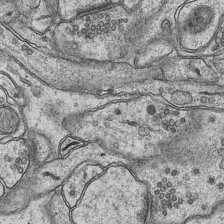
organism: Mouse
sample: CA1 Hippocampus